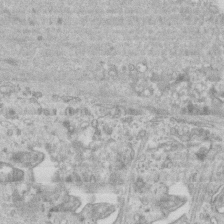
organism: Mouse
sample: Centriole in ependymal cells